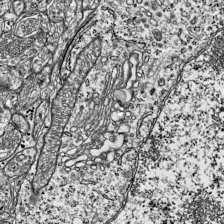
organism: Mouse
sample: Visual Cortex